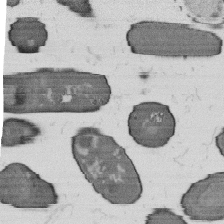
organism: B. subtilis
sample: Bacterial spore